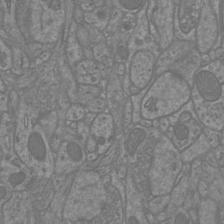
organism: Mouse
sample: Cortical neurons